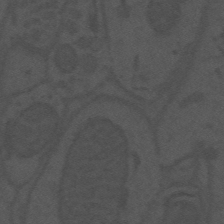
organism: Mouse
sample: Suprachiasmatic nucleus